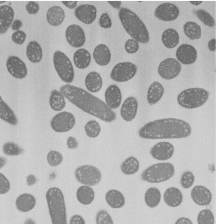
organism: E. coli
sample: Bacterial nucleoid